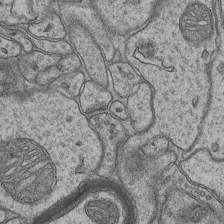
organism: Mouse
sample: CA1 Hippocampus